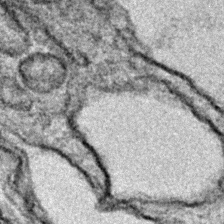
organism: Zebrafish